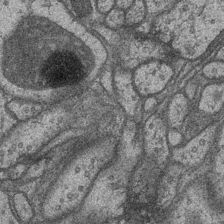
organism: Drosophila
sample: Optic medulla